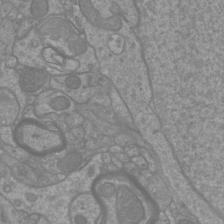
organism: Mouse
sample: Cortical neurons